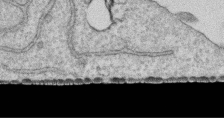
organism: Human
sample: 1205lu cells